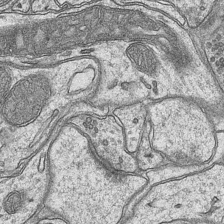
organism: Mouse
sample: CA1 Hippocampus